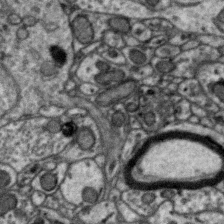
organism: Zebra finch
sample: Brain